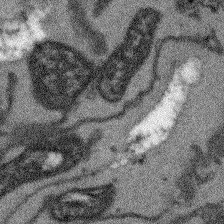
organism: Arabidopsis thaliana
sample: Root tip